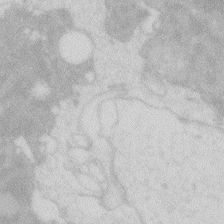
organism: Zebrafish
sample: Macrophage